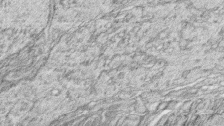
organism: Zebrafish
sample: synaptic ribbons in rod cells and cone cells